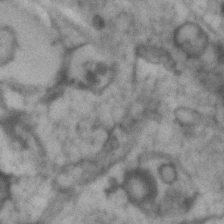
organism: Human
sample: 1205lu cells